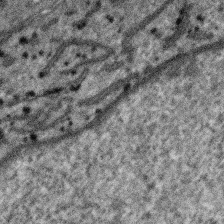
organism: Human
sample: Lung epithelial cells infected with SARS-CoV-2